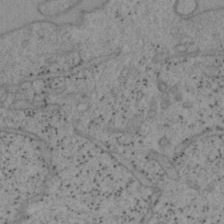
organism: Human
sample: HeLa cells